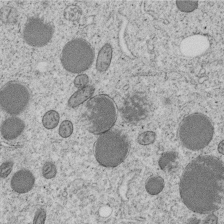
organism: C. elegans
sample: C. elegans embryo early stage